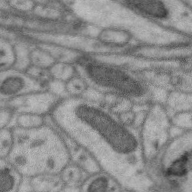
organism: Zebra finch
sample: Brain